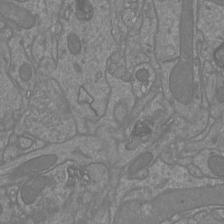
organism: Mouse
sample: Cortical neurons